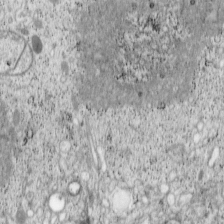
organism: African green monkey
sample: COS-7 cells